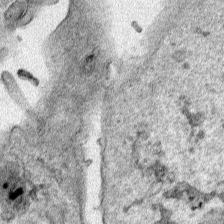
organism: Human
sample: Mitochondria in HCT116 cells